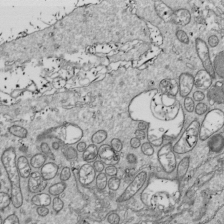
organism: Drosophila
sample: Cell division; meiosis; drosophila spermatocytes